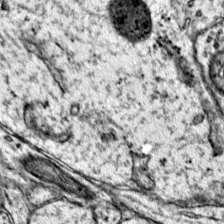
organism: Mouse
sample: Primary visual cortex